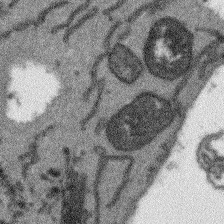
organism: Arabidopsis thaliana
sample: Root tip